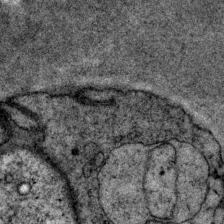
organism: P. pacificus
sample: Pharynx